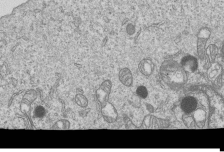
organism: Human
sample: MDA-MB-231 cells